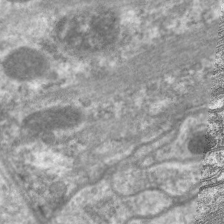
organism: C. elegans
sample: Pharynx